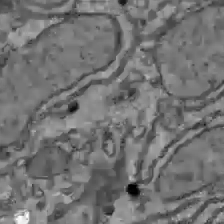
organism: C57BL Mouse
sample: Liver